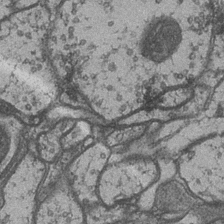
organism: Drosophila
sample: Optic medulla